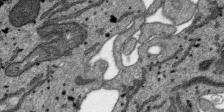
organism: Human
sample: Lung epithelial cells, uninfected (mock) control